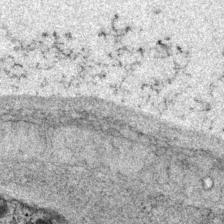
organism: P. pacificus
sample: Pharynx